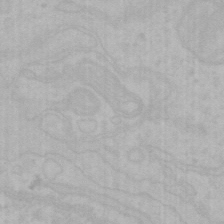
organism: Mouse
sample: Choroid plexus